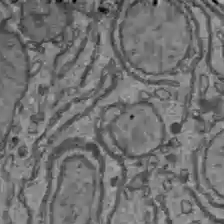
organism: C57BL Mouse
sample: Liver